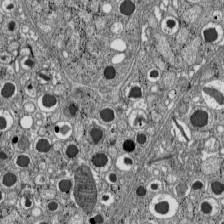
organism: C57BL Mouse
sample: Pancreatic islet